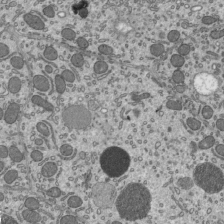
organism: Mouse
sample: Mouse epididymis efferent ductule cilia